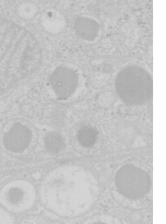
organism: Mouse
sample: Pancreas